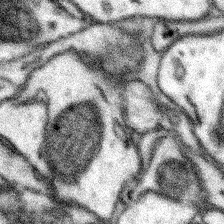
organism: Mouse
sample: Somatosensory cortex neuropil